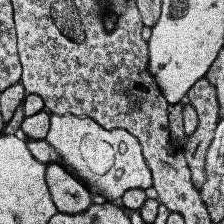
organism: Human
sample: Temporal Lobe